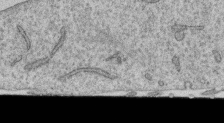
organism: Human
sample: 1205lu cells